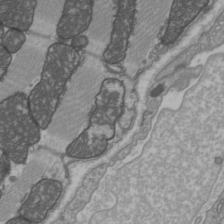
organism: C57BL Mouse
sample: Heart